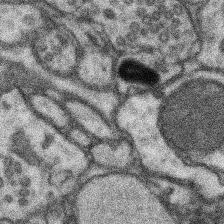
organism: Mouse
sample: Somatosensory cortex neuropil